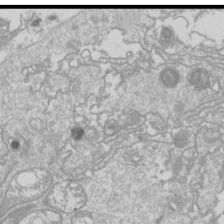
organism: Drosophila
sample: Cell division; meiosis; drosophila spermatocytes